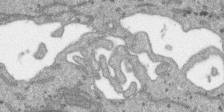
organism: Human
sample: Lung epithelial cells infected with SARS-CoV-2